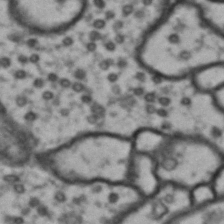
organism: Drosophila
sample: Brain